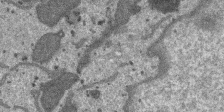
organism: Human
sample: Lung epithelial cells infected with SARS-CoV-2